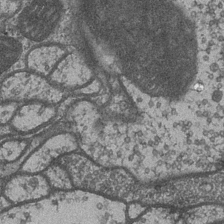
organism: Drosophila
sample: Optic medulla